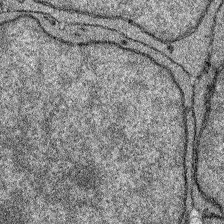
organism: Zebrafish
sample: Larval olfactory bulb